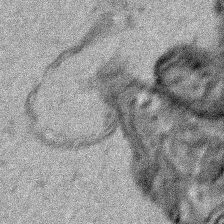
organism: Human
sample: Mitochondria in HCT116 cells